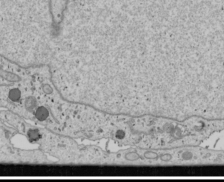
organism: Human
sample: Mitochondria in U2OS cells